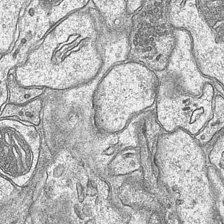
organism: Mouse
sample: CA1 Hippocampus